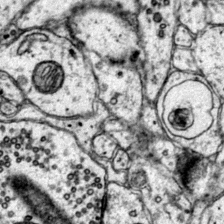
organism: Mouse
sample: Primary visual cortex